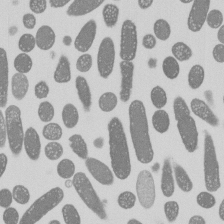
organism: E. coli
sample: Bacterial nucleoid